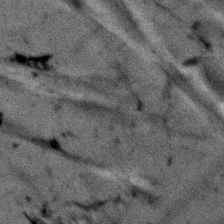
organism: Human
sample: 1205lu cells